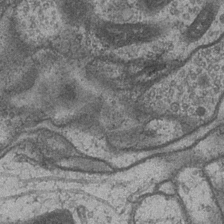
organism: Drosophila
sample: Optic medulla